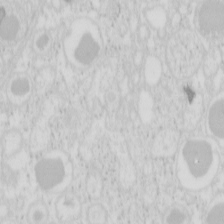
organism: Mouse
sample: Pancreas